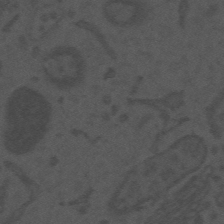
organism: Mouse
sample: Suprachiasmatic nucleus